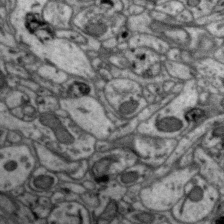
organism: Zebra finch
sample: Brain